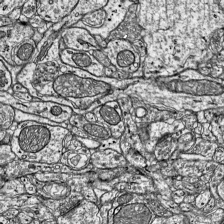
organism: Mouse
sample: Visual Cortex